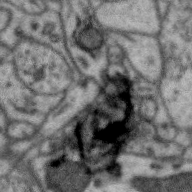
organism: Zebra finch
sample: Brain